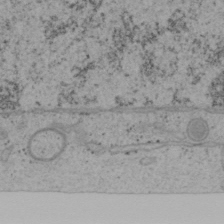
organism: Human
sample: HeLa cells